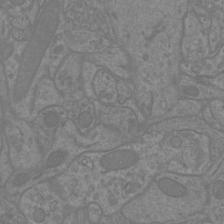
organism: Mouse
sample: Cortical neurons